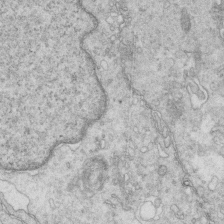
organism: Mouse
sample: Multiciliated cells